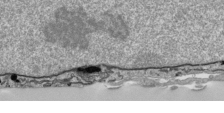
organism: Human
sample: Mitochondria in HCT116 cells